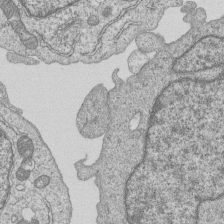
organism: Human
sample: MDA-MB-231 cells